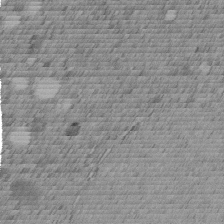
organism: C. elegans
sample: C. elegans embryo early stage